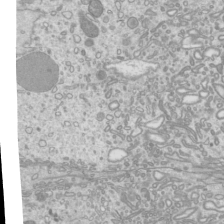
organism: Mouse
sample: Cilia; mouse epididymis